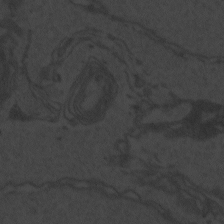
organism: Zebrafish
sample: Macrophage infected with Toxoplasma gondii